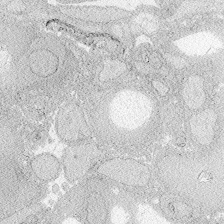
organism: Zebrafish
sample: Whole-Brain